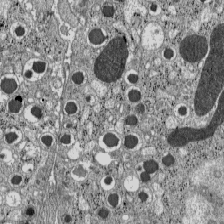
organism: C57BL Mouse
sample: Pancreatic islet